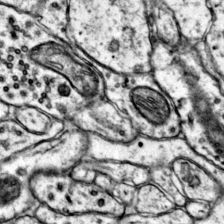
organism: Mouse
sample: Primary visual cortex